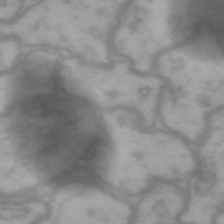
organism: Drosophila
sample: Brain